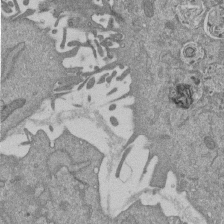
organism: Mouse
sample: ED-1 cell nuclei; centrioles